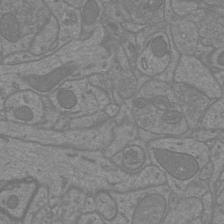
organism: Mouse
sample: Cortical neurons